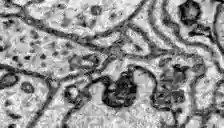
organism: Zebrafish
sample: Brain